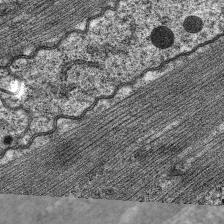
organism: C. elegans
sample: Pharynx